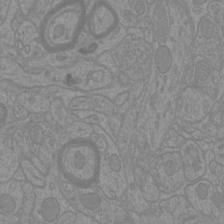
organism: Mouse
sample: Cortical neurons